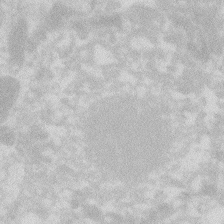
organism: Zebrafish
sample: Macrophage